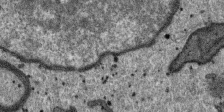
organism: Human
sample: Lung epithelial cells, uninfected (mock) control